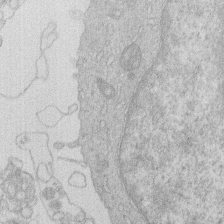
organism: Human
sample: Macrophage cells